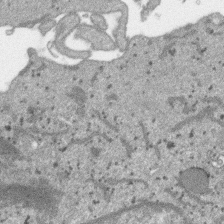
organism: Human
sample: Lung epithelial cells infected with SARS-CoV-2